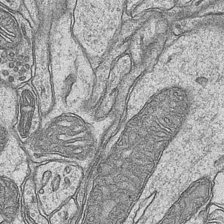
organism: Mouse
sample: CA1 Hippocampus